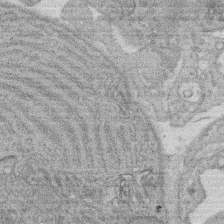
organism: Rat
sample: Salivary granule